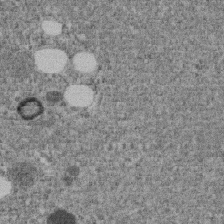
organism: C. elegans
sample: C. elegans embryo early stage